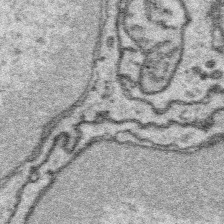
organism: Platynereis dumerilii